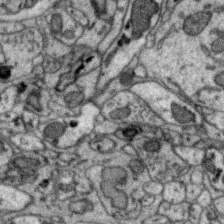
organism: Zebra finch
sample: Brain